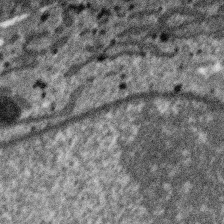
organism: Human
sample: Lung epithelial cells infected with SARS-CoV-2